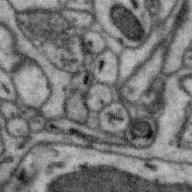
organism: Zebra finch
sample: Brain